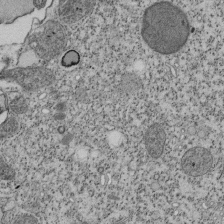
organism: Tetrahymena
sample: Cilia in tetrahymena